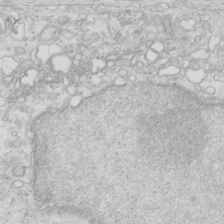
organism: Mouse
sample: Multiciliated cells